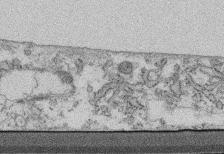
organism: Mouse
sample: Cilia; retinal pigment epithelium